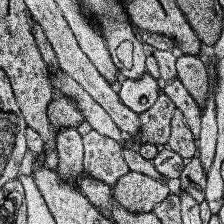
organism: Human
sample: Temporal Lobe